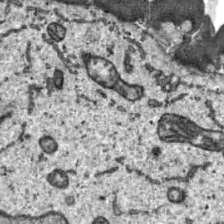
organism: Human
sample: HeLa cells